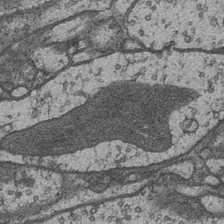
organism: Drosophila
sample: Optic medulla